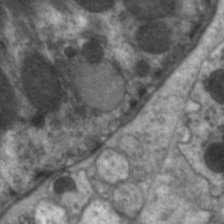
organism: C. elegans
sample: Pharynx